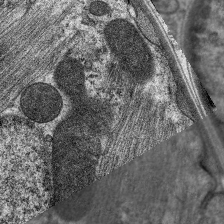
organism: C. elegans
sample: Pharynx